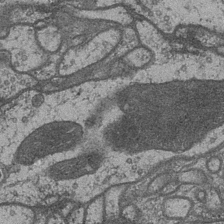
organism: Drosophila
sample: Optic medulla